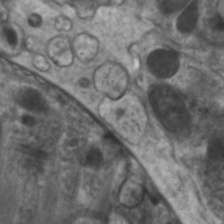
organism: C. elegans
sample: Pharynx